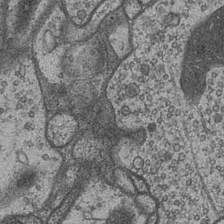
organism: Drosophila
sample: Optic medulla